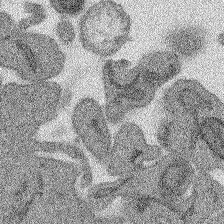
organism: Human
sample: HeLa cells